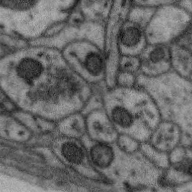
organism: Zebra finch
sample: Brain